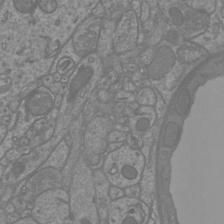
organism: Mouse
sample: Cortical neurons